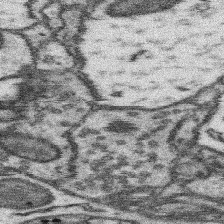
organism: Mouse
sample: Somatosensory cortex neuropil